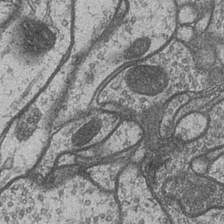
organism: Drosophila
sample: Optic medulla